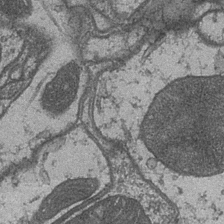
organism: Drosophila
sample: Optic medulla